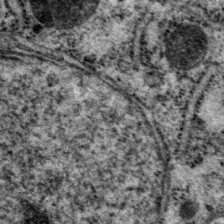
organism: P. pacificus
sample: Pharynx